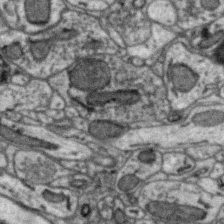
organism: Zebra finch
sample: Brain